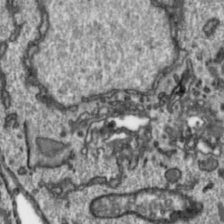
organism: Toxoplasma gondii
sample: Parasites in a vacuole inside a host cell